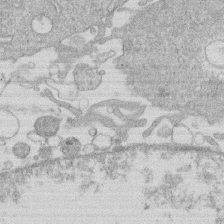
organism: Human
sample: Macrophage cells